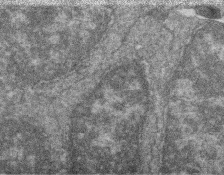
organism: Zebrafish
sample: Cilia; retinal pigment epithelium